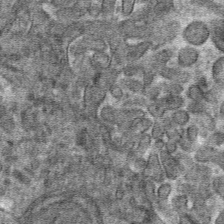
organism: Mouse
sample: Mouse hepatocytes